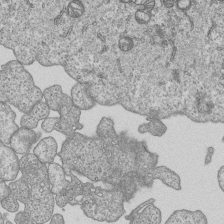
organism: Human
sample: MDA-MB-231 cells